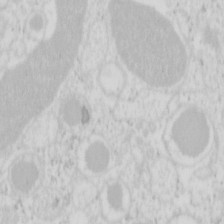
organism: Mouse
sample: Pancreas